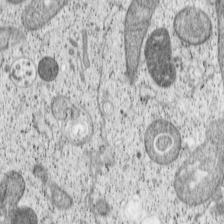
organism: African green monkey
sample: COS-7 cells